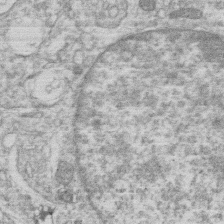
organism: Human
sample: Macrophage cells